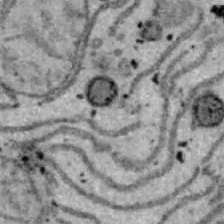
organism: Mouse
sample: Liver from an obese (ob/ob) mouse